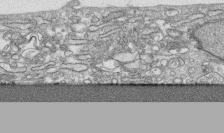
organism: Human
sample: CRL-1474